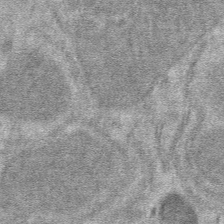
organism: Mouse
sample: Mouse hepatocytes